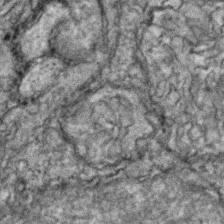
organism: Zebrafish